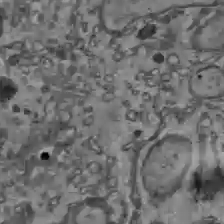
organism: C57BL Mouse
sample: Liver